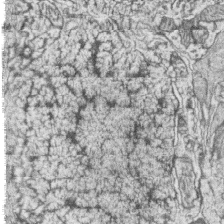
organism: Zebrafish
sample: synaptic ribbons in rod cells and cone cells